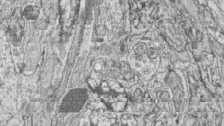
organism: Zebrafish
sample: synaptic ribbons in rod cells and cone cells